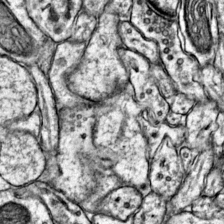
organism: Mouse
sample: Primary visual cortex